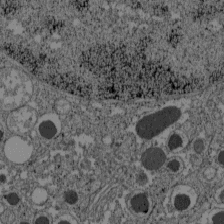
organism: C57BL Mouse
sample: Pancreatic islet